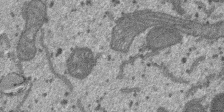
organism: Human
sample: Lung epithelial cells infected with SARS-CoV-2